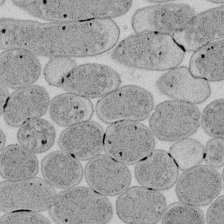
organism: E. coli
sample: Bacterial nucleoid